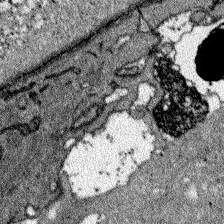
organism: Zebrafish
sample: Larval olfactory bulb